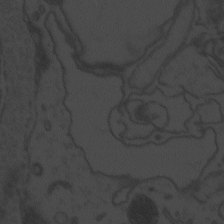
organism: Zebrafish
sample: Macrophage infected with Toxoplasma gondii